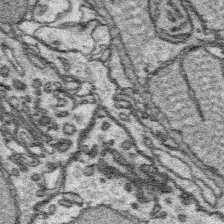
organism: Platynereis dumerilii